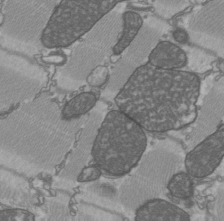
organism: C57BL Mouse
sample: Heart